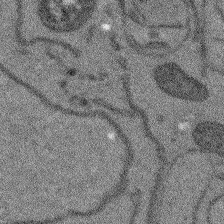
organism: Arabidopsis thaliana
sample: Root tip